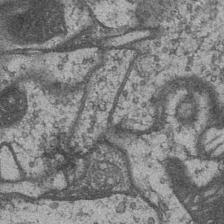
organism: Drosophila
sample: Optic medulla